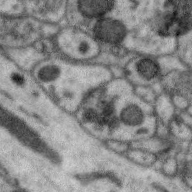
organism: Zebra finch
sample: Brain